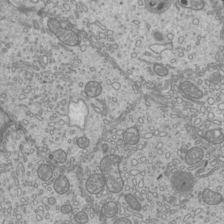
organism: Mouse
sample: Cilia; mouse epididymis